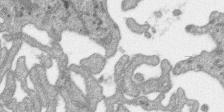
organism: Human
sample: Lung epithelial cells infected with SARS-CoV-2